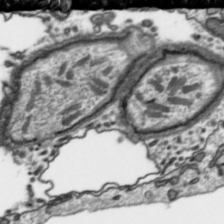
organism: Toxoplasma gondii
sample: Parasites in a vacuole inside a host cell